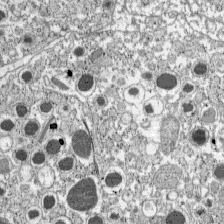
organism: C57BL Mouse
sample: Pancreatic islet